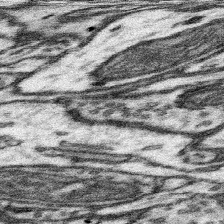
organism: Mouse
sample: Somatosensory cortex neuropil